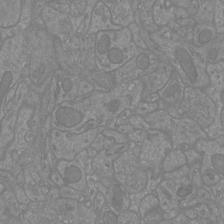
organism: Mouse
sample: Cortical neurons